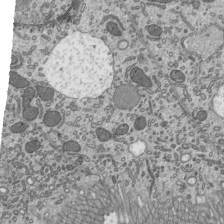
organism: Mouse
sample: Mouse epididymis efferent ductule cilia